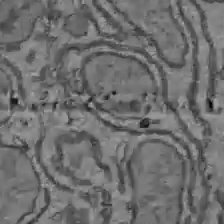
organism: C57BL Mouse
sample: Liver